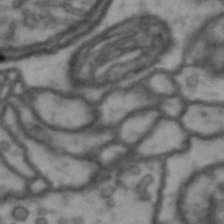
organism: Drosophila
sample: Brain